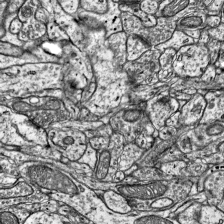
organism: Mouse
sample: Visual Cortex